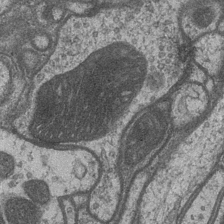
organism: Drosophila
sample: Optic medulla